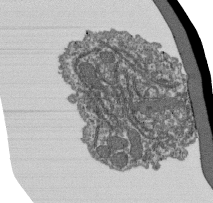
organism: Dictyostelium discoideum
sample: Dictyostelium multivesicular bodies